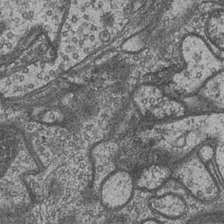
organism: Drosophila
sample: Optic medulla